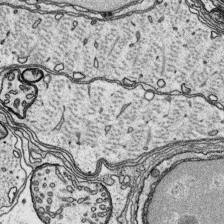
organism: Platynereis dumerilii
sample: Parapodia